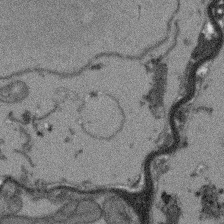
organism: Arabidopsis thaliana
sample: Root tip